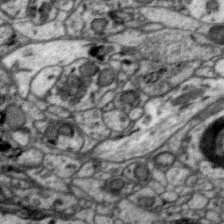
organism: Zebra finch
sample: Brain